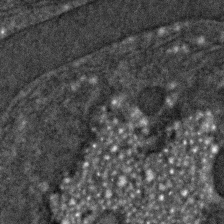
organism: C. elegans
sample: C. elegans embryo